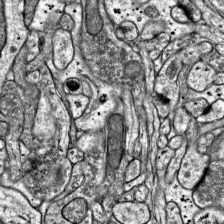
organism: Mouse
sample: Visual Cortex